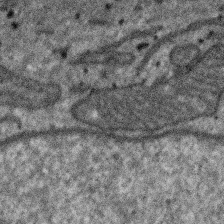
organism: Human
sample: Lung epithelial cells infected with SARS-CoV-2